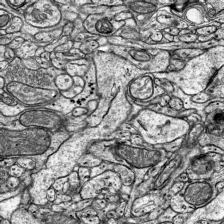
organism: Mouse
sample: Visual Cortex